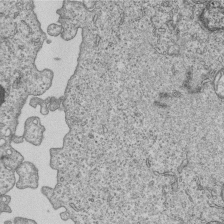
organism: Human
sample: MDA-MB-231 cells